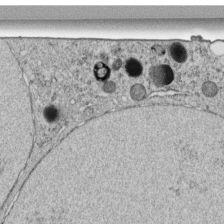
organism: C. elegans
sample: C. elegans embryo early stage